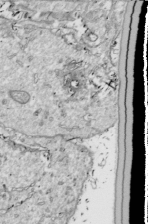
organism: Drosophila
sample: Cell division; meiosis; drosophila spermatocytes